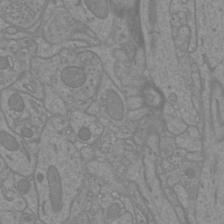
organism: Mouse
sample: Cortical neurons